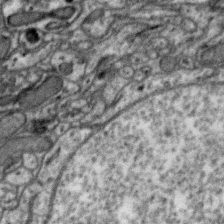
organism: Zebra finch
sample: Brain